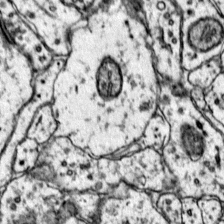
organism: Mouse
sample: Primary visual cortex